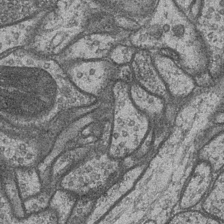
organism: Drosophila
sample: Optic medulla